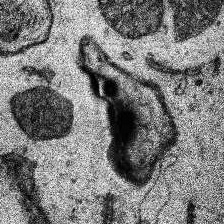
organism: Human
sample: Temporal Lobe